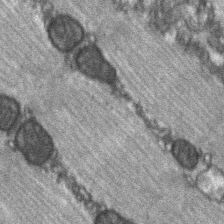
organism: C57BL Mouse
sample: Soleus